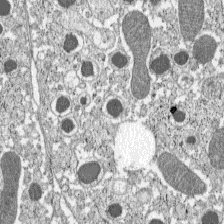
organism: C57BL Mouse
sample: Pancreatic islet